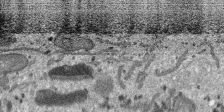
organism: Human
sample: Lung epithelial cells infected with SARS-CoV-2